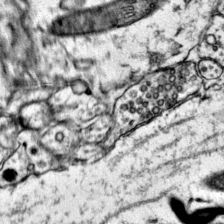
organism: Mouse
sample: Primary visual cortex